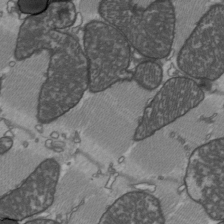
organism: C57BL Mouse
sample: Heart